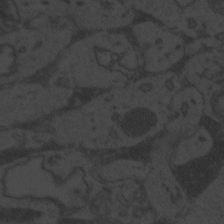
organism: Zebrafish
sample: Macrophage infected with Toxoplasma gondii